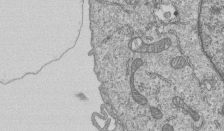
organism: Human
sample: MDA-MB-231 cells